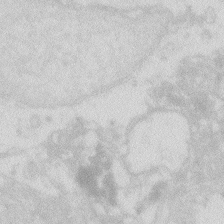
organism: Zebrafish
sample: Macrophage